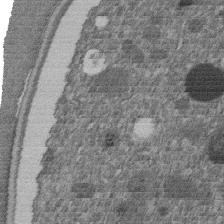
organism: C. elegans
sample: C. elegans embryo early stage